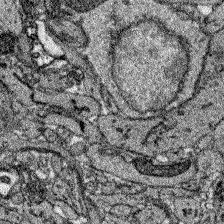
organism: Zebrafish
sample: Larval olfactory bulb